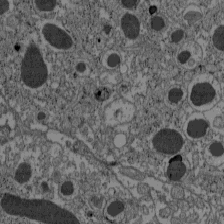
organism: C57BL Mouse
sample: Pancreatic islet